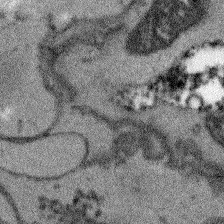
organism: Arabidopsis thaliana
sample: Root tip